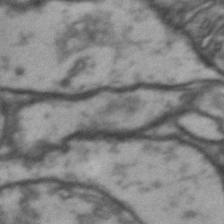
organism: Drosophila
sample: Brain